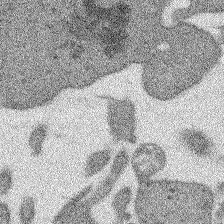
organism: Human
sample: HeLa cells